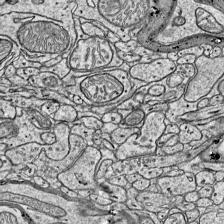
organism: Mouse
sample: Visual Cortex